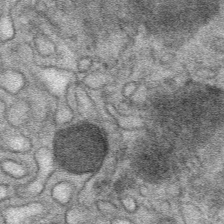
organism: Mouse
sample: Mouse Salivary gland